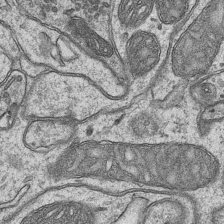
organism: Mouse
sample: CA1 Hippocampus